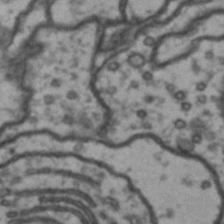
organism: Drosophila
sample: Brain